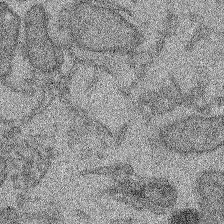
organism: Human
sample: HeLa cells